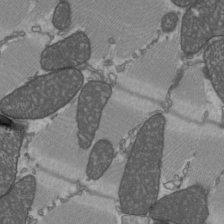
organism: C57BL Mouse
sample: Heart